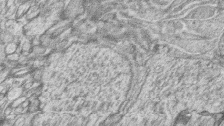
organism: Zebrafish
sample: synaptic ribbons in rod cells and cone cells